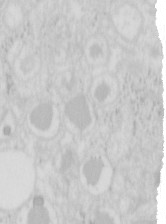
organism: Mouse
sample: Pancreas